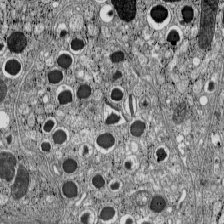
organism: C57BL Mouse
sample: Pancreatic islet